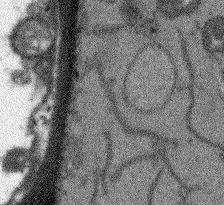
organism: Arabidopsis thaliana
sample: Root tip